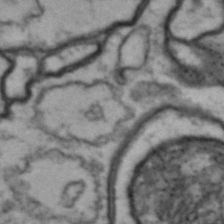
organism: Drosophila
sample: Brain